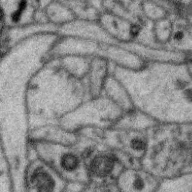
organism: Zebra finch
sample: Brain